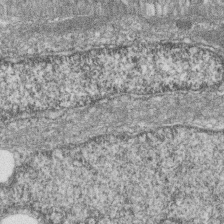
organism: Zebrafish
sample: Cilia; retinal pigment epithelium